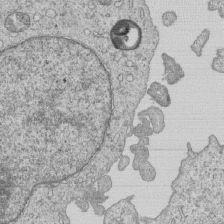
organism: Human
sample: MDA-MB-231 cells